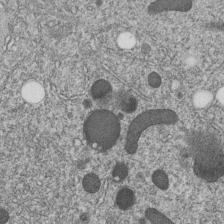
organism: C. elegans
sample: C. elegans embryo early stage